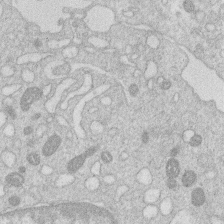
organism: Human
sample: Macrophage cells